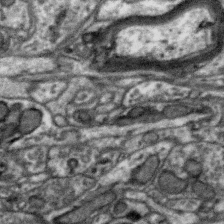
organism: Zebra finch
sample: Brain